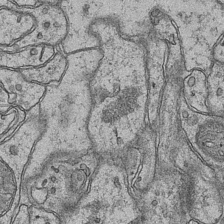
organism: Mouse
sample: CA1 Hippocampus